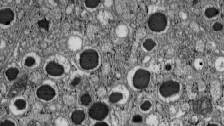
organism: C57BL Mouse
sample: Pancreatic islet